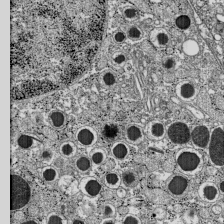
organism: C57BL Mouse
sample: Pancreatic islet